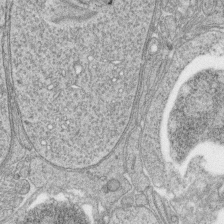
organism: Zebrafish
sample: synaptic ribbons in rod cells and cone cells